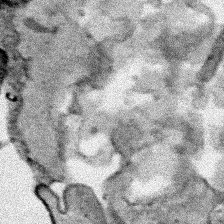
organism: Human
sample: Mitochondria in HCT116 cells